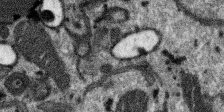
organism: Human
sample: Lung epithelial cells infected with SARS-CoV-2